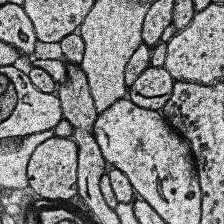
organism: Human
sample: Temporal Lobe